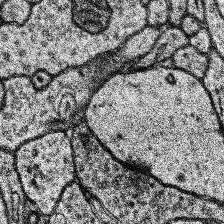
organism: Human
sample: Temporal Lobe